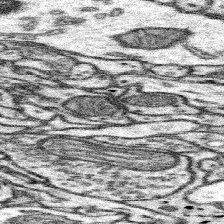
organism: Mouse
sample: Somatosensory cortex neuropil